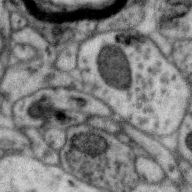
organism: Zebra finch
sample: Brain